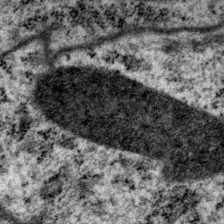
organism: P. pacificus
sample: Pharynx